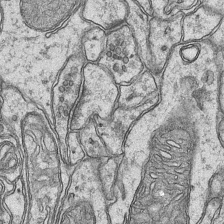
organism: Mouse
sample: CA1 Hippocampus